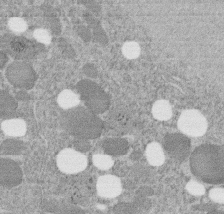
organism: C. elegans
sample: C. elegans embryo early stage